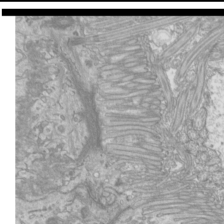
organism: Mouse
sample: Cilia; mouse epididymis